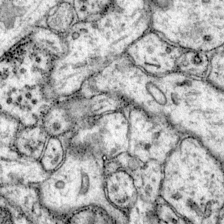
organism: Mouse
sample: Primary visual cortex